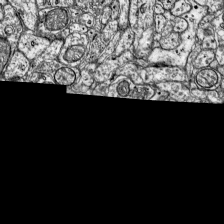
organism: Mouse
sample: Visual Cortex